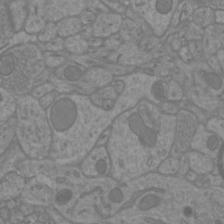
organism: Mouse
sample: Cortical neurons